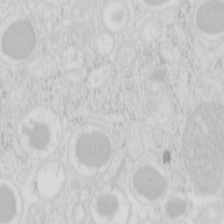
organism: Mouse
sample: Pancreas